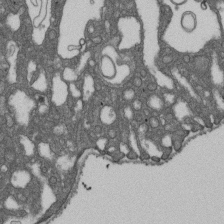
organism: Drosophila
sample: Nephrocyte